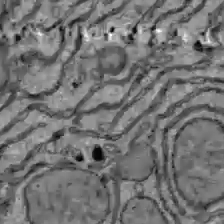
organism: C57BL Mouse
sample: Liver